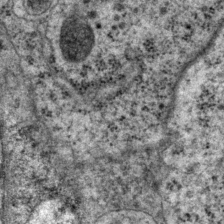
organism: P. pacificus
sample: Pharynx